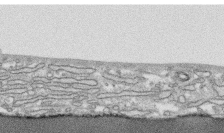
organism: Human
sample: CRL-1474